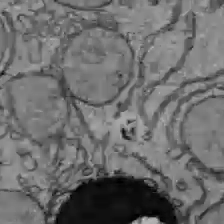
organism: C57BL Mouse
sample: Liver